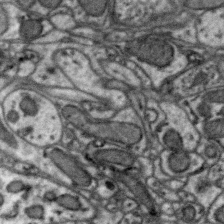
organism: Zebra finch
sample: Brain